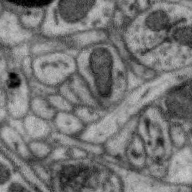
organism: Zebra finch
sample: Brain